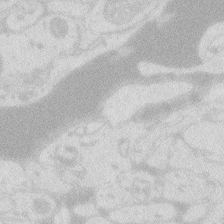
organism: Zebrafish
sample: Macrophage